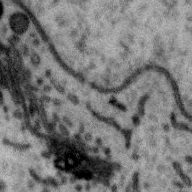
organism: Zebra finch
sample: Brain